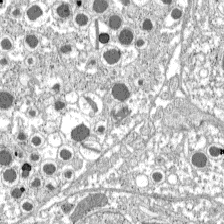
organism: C57BL Mouse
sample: Pancreatic islet